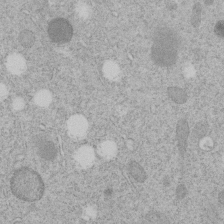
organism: C. elegans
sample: C. elegans embryo early stage